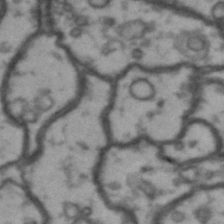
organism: Drosophila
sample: Brain